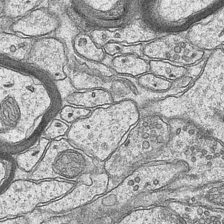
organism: Mouse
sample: CA1 Hippocampus